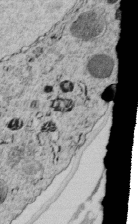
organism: C. elegans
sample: C. elegans embryo early stage